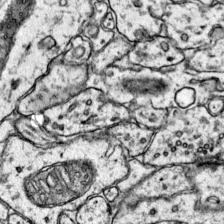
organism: Mouse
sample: Primary visual cortex